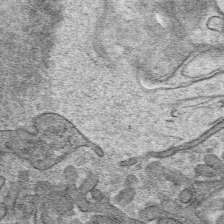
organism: Mouse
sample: Mouse hepatocytes